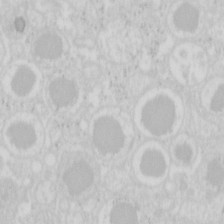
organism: Mouse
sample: Pancreas